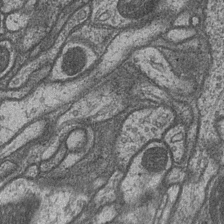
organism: Drosophila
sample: Optic medulla